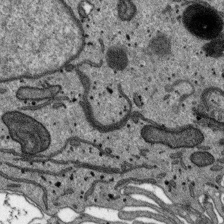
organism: Human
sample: Lung epithelial cells, uninfected (mock) control